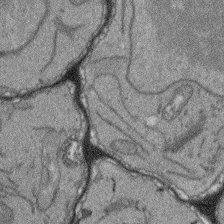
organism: Arabidopsis thaliana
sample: Root tip